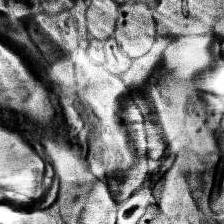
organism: Human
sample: Temporal Lobe